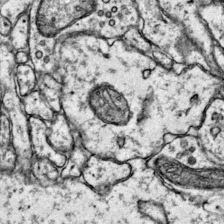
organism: Mouse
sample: Primary visual cortex